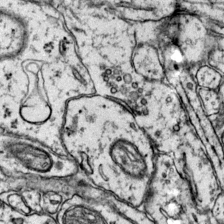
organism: Mouse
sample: Primary visual cortex